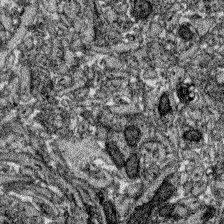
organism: Zebrafish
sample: Larval olfactory bulb